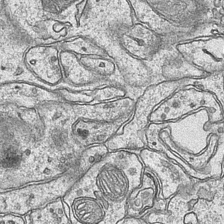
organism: Mouse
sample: CA1 Hippocampus